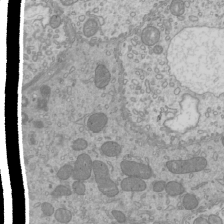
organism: Mouse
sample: Cilia; mouse epididymis